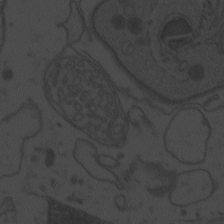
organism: Zebrafish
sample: Macrophage infected with Toxoplasma gondii